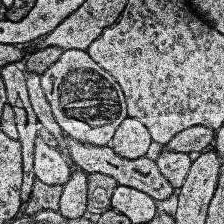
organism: Human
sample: Temporal Lobe